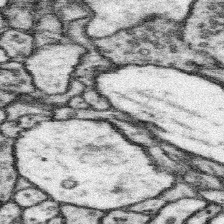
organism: Mouse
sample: Somatosensory cortex neuropil